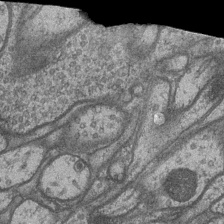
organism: Drosophila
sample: Optic medulla